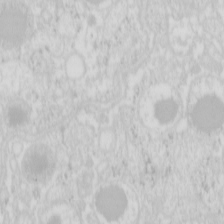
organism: Mouse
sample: Pancreas